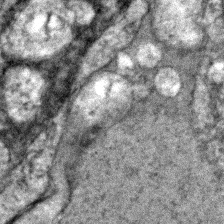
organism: Zebrafish